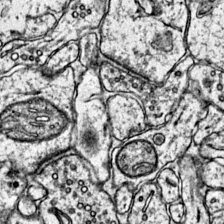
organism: Mouse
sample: Primary visual cortex